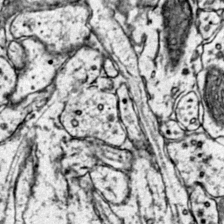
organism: Mouse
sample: Primary visual cortex